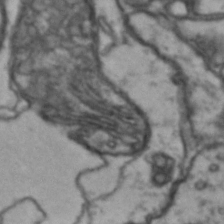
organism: Drosophila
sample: Brain